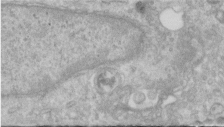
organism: Human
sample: Centriole in RPE cells